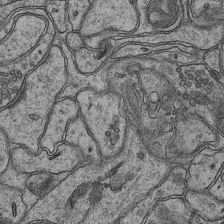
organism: Mouse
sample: CA1 Hippocampus